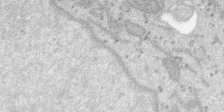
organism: Human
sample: Lung epithelial cells infected with SARS-CoV-2